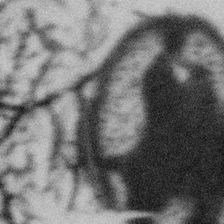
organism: Gemmata obscuriglobus